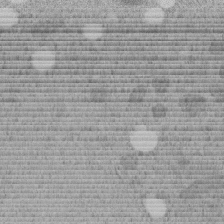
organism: C. elegans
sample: C. elegans embryo early stage